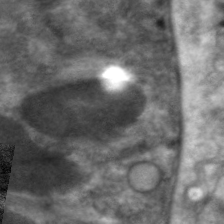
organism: C. elegans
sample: Pharynx